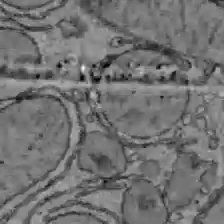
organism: C57BL Mouse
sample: Liver